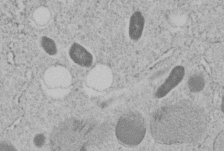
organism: C. elegans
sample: C. elegans embryo early stage